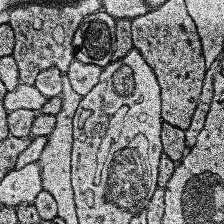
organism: Human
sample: Temporal Lobe